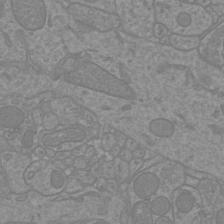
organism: Mouse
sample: Cortical neurons